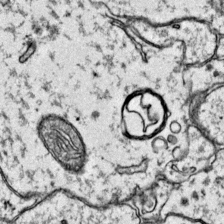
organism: Mouse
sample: Primary visual cortex